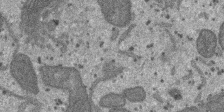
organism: Human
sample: Lung epithelial cells infected with SARS-CoV-2